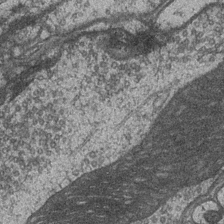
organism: Drosophila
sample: Optic medulla